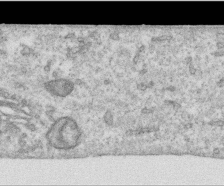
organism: Human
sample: Centriole in RPE cells